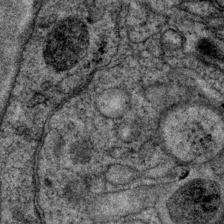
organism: P. pacificus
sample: Pharynx